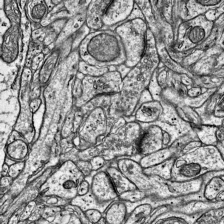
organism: Mouse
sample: Visual Cortex